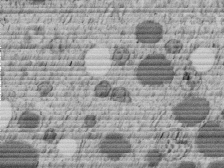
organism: C. elegans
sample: C. elegans embryo early stage